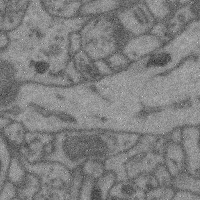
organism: Mouse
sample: Cerebral cortex